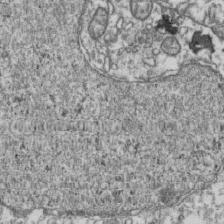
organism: Human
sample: Activated Jurkat CD4+ T cells